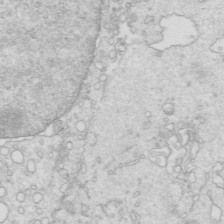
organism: Mouse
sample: Multiciliated cells